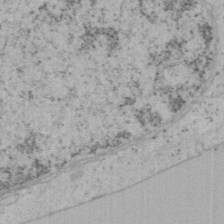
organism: Human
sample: HeLa cells